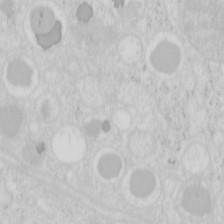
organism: Mouse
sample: Pancreas